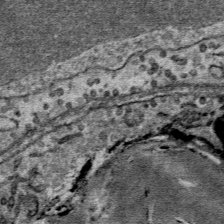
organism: Mouse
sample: Mouse Salivary gland